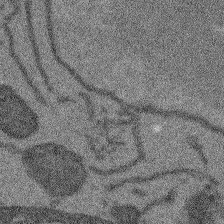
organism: Arabidopsis thaliana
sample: Root tip